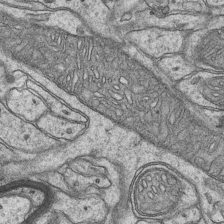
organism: Mouse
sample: CA1 Hippocampus